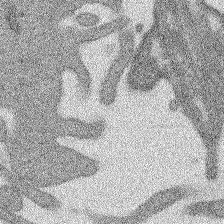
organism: Human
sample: HeLa cells